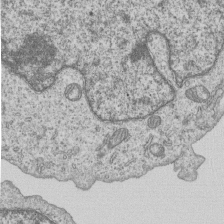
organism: Human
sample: MDA-MB-231 cells